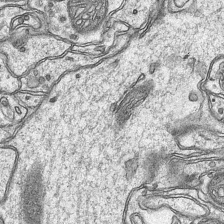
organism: Mouse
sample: CA1 Hippocampus